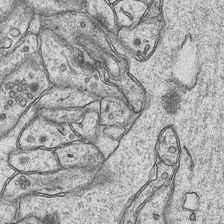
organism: Mouse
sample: CA1 Hippocampus